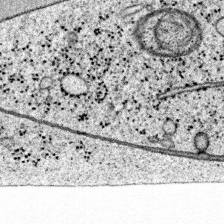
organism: Human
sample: HeLa cells